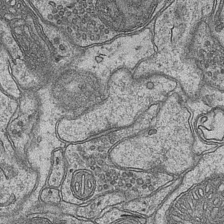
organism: Mouse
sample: CA1 Hippocampus